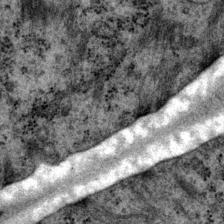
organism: P. pacificus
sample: Pharynx